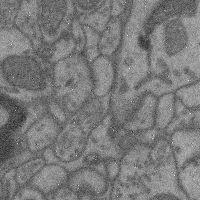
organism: Mouse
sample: Cerebral cortex